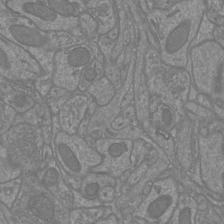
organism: Mouse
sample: Cortical neurons